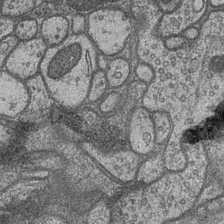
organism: Drosophila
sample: Optic medulla